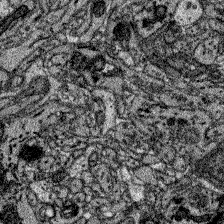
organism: Zebrafish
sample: Larval olfactory bulb